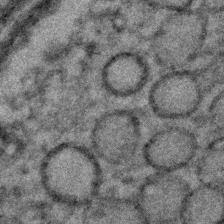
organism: C. elegans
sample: C. elegans embryo